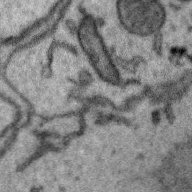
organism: Zebra finch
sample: Brain